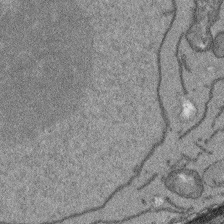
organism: Arabidopsis thaliana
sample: Root tip